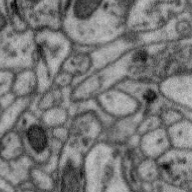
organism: Zebra finch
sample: Brain